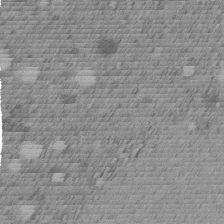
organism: C. elegans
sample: C. elegans embryo early stage